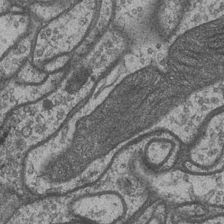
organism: Drosophila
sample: Optic medulla